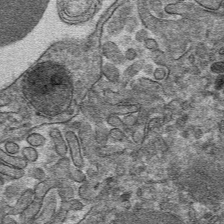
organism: Mouse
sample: Mouse hepatocytes